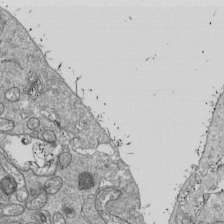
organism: Drosophila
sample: Cell division; meiosis; drosophila spermatocytes